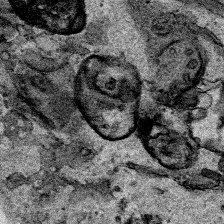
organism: Human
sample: Mitochondria in HCT116 cells